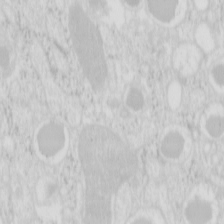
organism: Mouse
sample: Pancreas